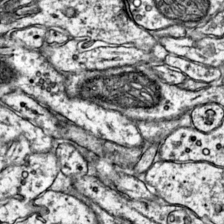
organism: Mouse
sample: Primary visual cortex